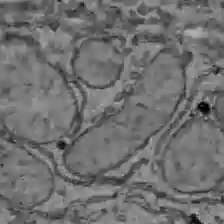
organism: C57BL Mouse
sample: Liver